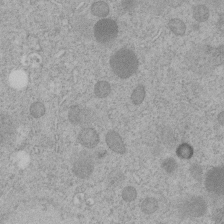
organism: C. elegans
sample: C. elegans embryo early stage